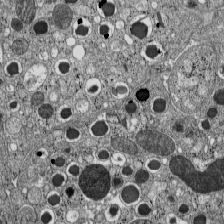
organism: C57BL Mouse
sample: Pancreatic islet